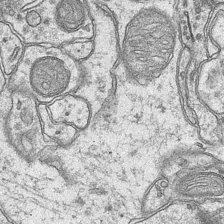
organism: Mouse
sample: CA1 Hippocampus